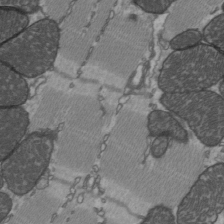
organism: C57BL Mouse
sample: Heart